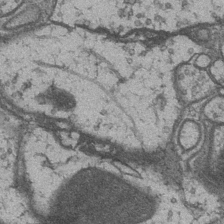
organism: Drosophila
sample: Optic medulla